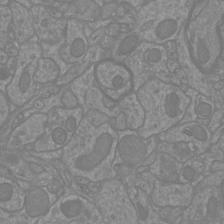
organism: Mouse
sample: Cortical neurons